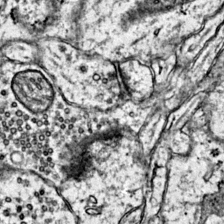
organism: Mouse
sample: Primary visual cortex